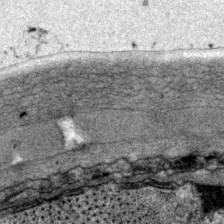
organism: P. pacificus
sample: Pharynx